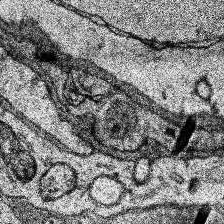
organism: Human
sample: Temporal Lobe